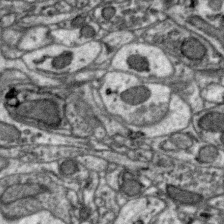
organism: Zebra finch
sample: Brain